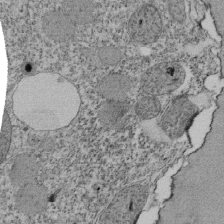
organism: Tetrahymena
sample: Cilia in tetrahymena